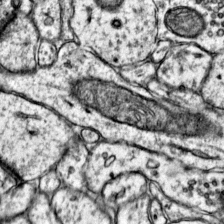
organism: Mouse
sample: Primary visual cortex